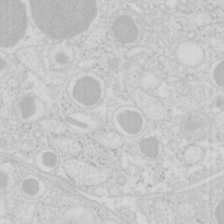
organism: Mouse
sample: Pancreas